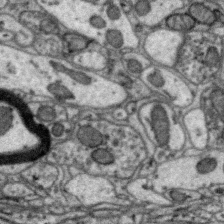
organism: Zebra finch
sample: Brain